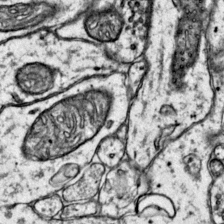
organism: Mouse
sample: Primary visual cortex